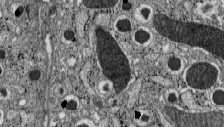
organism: C57BL Mouse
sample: Pancreatic islet